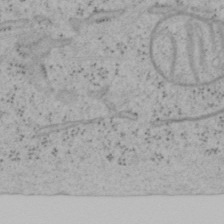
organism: Human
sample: HeLa cells